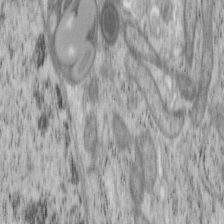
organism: Human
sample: HeLa cells